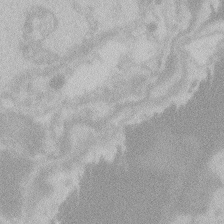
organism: Zebrafish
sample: Macrophage infected with Toxoplasma gondii